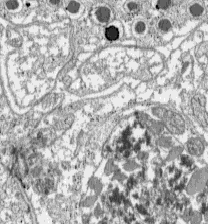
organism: C57BL Mouse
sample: Pancreatic islet